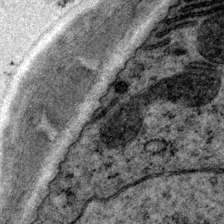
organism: P. pacificus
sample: Pharynx